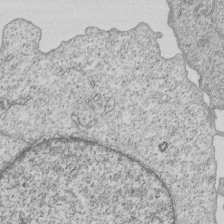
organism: Human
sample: MDA-MB-231 cells